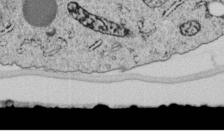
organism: C. elegans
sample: C. elegans embryo early stage